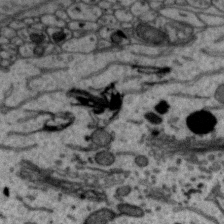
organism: Zebra finch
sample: Brain